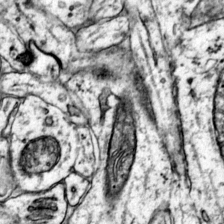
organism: Mouse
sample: Primary visual cortex